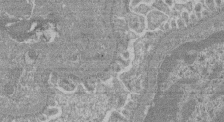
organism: Mouse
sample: Glomerulus